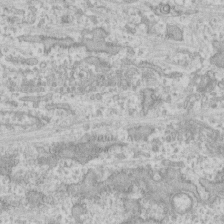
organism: Human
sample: CRL-1474